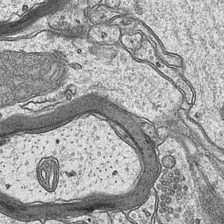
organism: Mouse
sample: CA1 Hippocampus